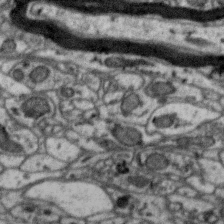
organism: Zebra finch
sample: Brain